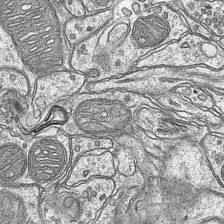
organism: Mouse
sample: CA1 Hippocampus